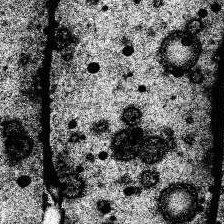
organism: Human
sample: Temporal Lobe